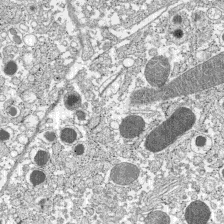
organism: C57BL Mouse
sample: Pancreatic islet